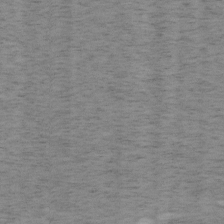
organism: Mouse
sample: OT-I killer T cells with ID8 ovarian cancer cells